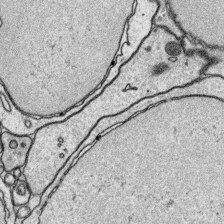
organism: Platynereis dumerilii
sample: Parapodia